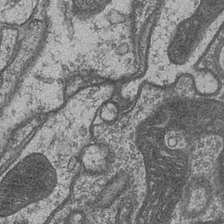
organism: Drosophila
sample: Optic medulla